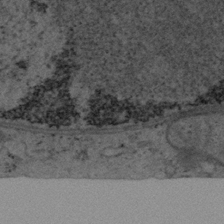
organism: Human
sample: HeLa cells